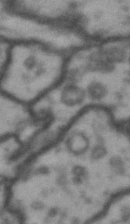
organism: Drosophila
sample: Brain